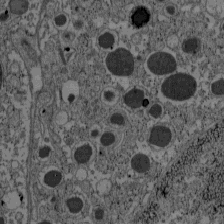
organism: C57BL Mouse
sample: Pancreatic islet